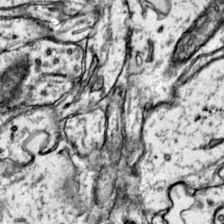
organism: Mouse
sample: Primary visual cortex